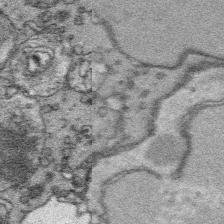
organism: Platynereis dumerilii